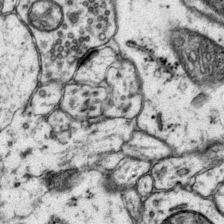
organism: Mouse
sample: Primary visual cortex